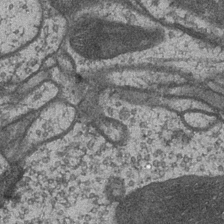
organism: Drosophila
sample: Optic medulla